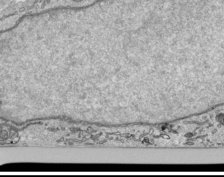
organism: Human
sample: Mitochondria in HCT116 cells